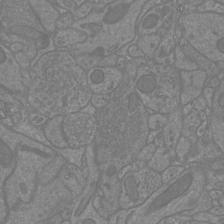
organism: Mouse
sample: Cortical neurons